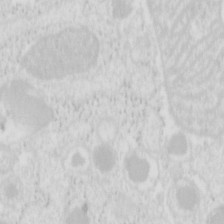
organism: Mouse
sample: Pancreas